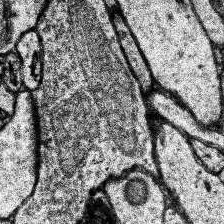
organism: Human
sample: Temporal Lobe